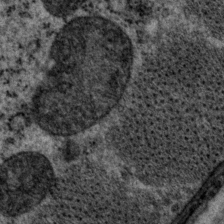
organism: P. pacificus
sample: Pharynx